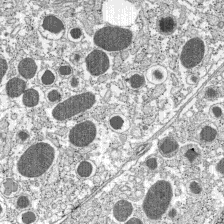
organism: C57BL Mouse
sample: Pancreatic islet